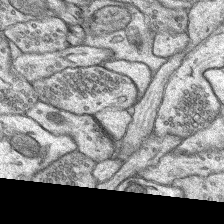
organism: Rat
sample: Hippocampus